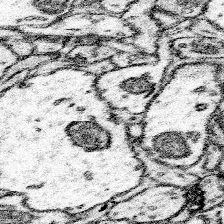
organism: Mouse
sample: Somatosensory cortex neuropil